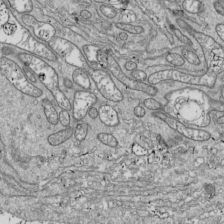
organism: Drosophila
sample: Cell division; meiosis; drosophila spermatocytes